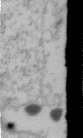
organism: Human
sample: U2-OS cells